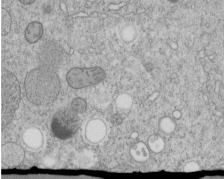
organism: C. elegans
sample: C. elegans embryo early stage